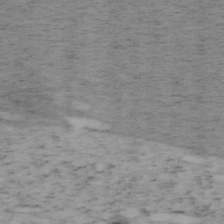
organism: Mouse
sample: OT-I killer T cells with ID8 ovarian cancer cells